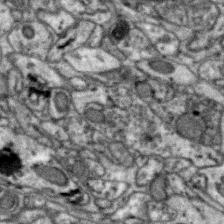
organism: Zebra finch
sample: Brain